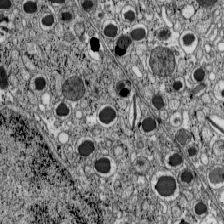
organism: C57BL Mouse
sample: Pancreatic islet